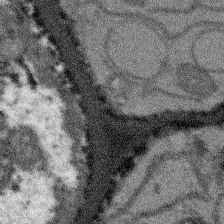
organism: Arabidopsis thaliana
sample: Root tip